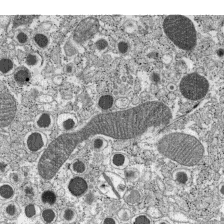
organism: C57BL Mouse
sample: Pancreatic islet